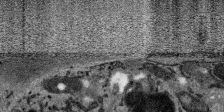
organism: Human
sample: Lung epithelial cells, uninfected (mock) control